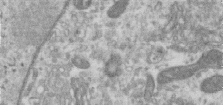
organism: Human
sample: Centriole in RPE cells